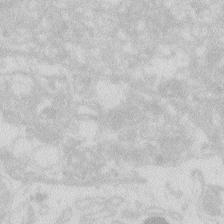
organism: Zebrafish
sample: Macrophage